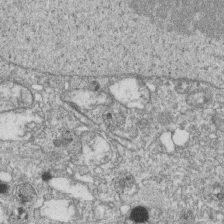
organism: Human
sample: HeLa cell HIV synapse